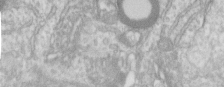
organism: Human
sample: Centriole in RPE cells